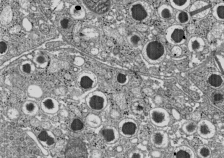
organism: C57BL Mouse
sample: Pancreatic islet